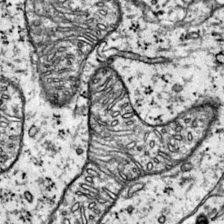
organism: Mouse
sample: Primary visual cortex